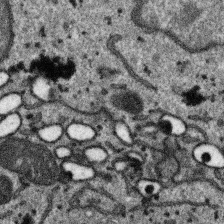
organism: Human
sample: Lung epithelial cells infected with SARS-CoV-2